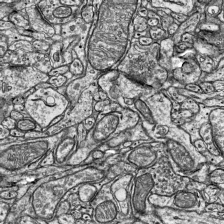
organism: Mouse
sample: Visual Cortex